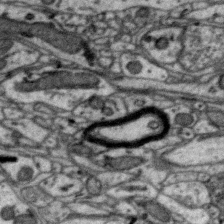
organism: Zebra finch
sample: Brain